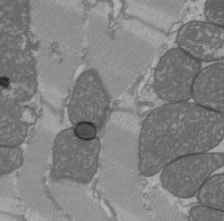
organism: C57BL Mouse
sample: Heart